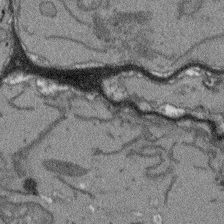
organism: Arabidopsis thaliana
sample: Root tip